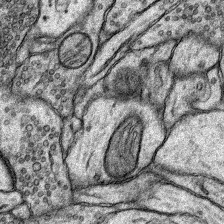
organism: Rat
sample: Hippocampus